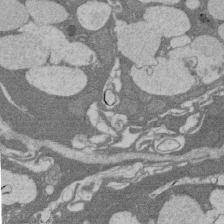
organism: Rat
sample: Salivary granule